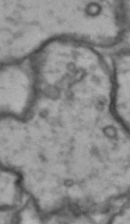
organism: Drosophila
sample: Brain